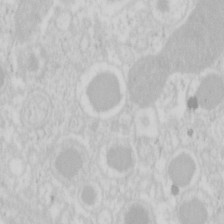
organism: Mouse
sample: Pancreas